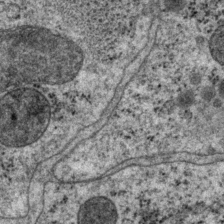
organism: P. pacificus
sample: Pharynx